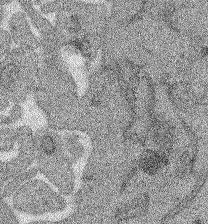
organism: Human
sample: HeLa cells